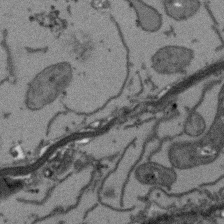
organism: Arabidopsis thaliana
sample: Root tip